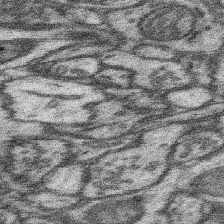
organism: Mouse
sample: Somatosensory cortex neuropil